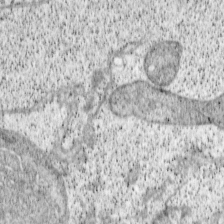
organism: African green monkey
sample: COS-7 cells